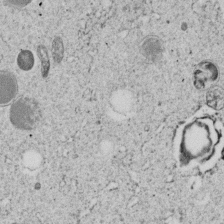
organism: C. elegans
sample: C. elegans embryo early stage